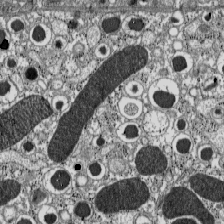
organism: C57BL Mouse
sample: Pancreatic islet